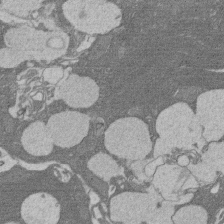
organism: Rat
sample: Salivary granule